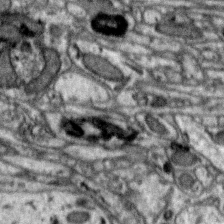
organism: Zebra finch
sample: Brain